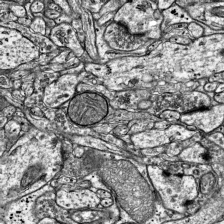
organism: Mouse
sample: Visual Cortex